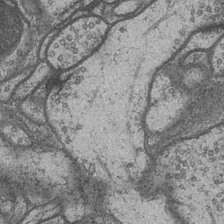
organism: Drosophila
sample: Optic medulla